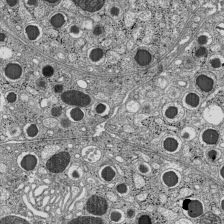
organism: C57BL Mouse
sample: Pancreatic islet